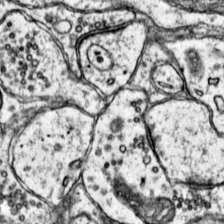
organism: Mouse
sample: Primary visual cortex